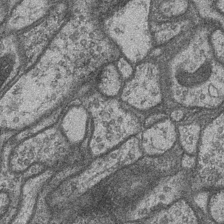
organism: Drosophila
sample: Optic medulla